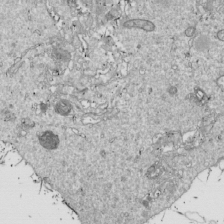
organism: Drosophila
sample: Cell division; meiosis; drosophila spermatocytes